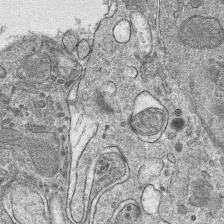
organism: Mouse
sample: Mouse hepatocytes